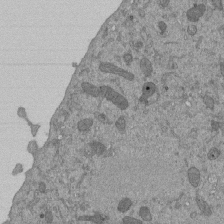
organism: Mouse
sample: ED-1 cell nuclei; centrioles